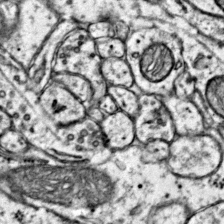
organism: Mouse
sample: Primary visual cortex